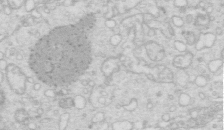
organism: Mouse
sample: Multiciliated cells